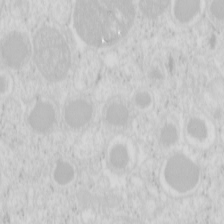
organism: Mouse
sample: Pancreas